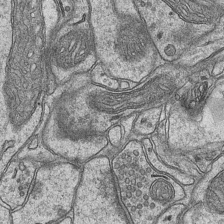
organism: Mouse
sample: CA1 Hippocampus